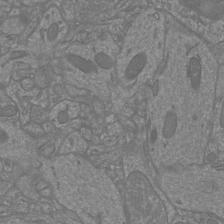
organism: Mouse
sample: Cortical neurons